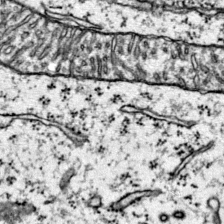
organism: Mouse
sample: Primary visual cortex